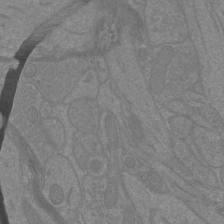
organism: Mouse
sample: Cortical neurons